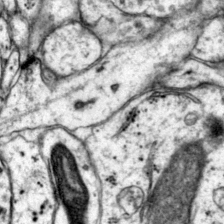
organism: Mouse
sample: Primary visual cortex